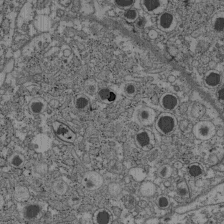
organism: C57BL Mouse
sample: Pancreatic islet